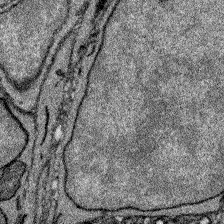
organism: Zebrafish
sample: Larval olfactory bulb